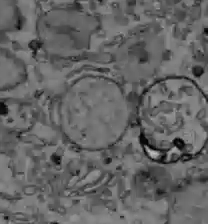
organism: C57BL Mouse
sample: Liver